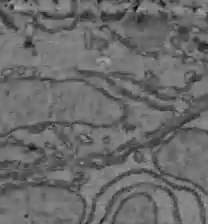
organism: C57BL Mouse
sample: Liver